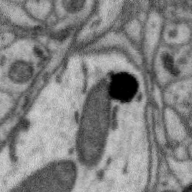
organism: Zebra finch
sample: Brain